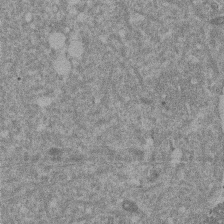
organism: Mouse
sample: Dividing mouse embryo 1 cell stage